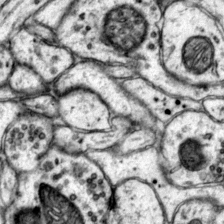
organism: Mouse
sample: Primary visual cortex